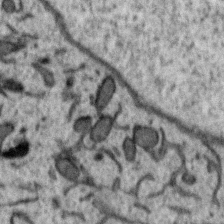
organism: Zebra finch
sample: Brain